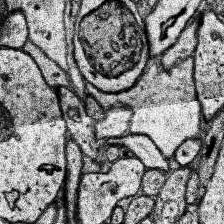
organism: Human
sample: Temporal Lobe